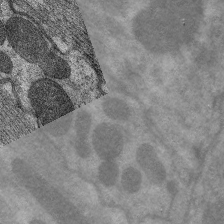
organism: C. elegans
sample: Pharynx